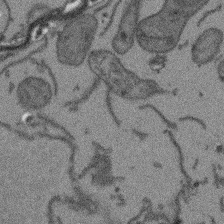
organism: Arabidopsis thaliana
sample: Root tip